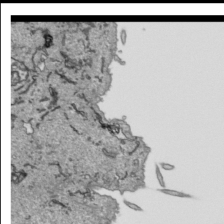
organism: Human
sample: Mitochondria in HCT116 cells